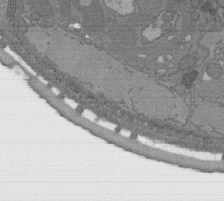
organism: C. elegans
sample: AFD neurons C. elegans